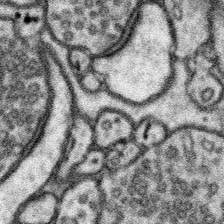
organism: Mouse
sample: Somatosensory cortex neuropil